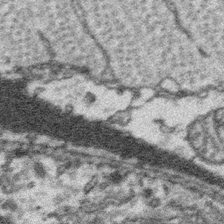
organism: Platynereis dumerilii